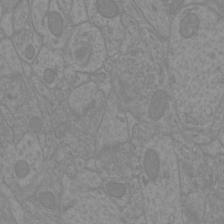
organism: Mouse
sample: Cortical neurons